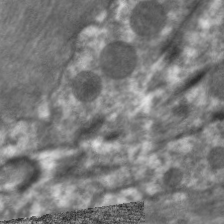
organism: C. elegans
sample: Pharynx